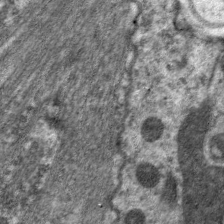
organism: C. elegans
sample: Pharynx